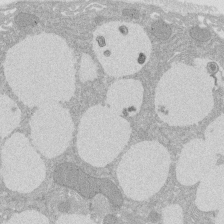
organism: Rat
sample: Salivary granule